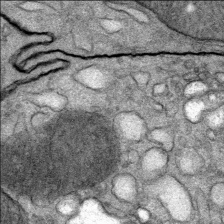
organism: Mouse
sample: Mouse Salivary gland